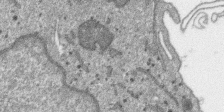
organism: Human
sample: Lung epithelial cells infected with SARS-CoV-2